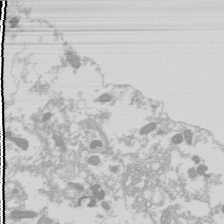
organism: Drosophila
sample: Cell division; meiosis; drosophila spermatocytes